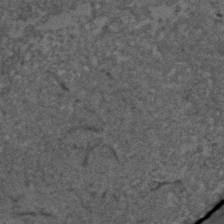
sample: Trachea